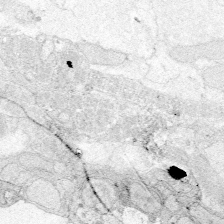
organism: Zebrafish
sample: Whole-Brain